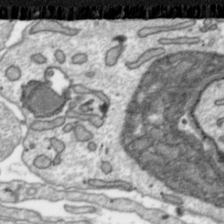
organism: Toxoplasma gondii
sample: Parasites in a vacuole inside a host cell